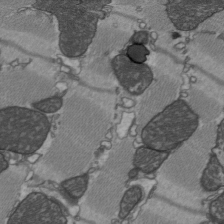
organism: C57BL Mouse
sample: Heart